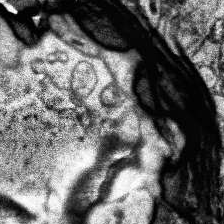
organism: Human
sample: Temporal Lobe